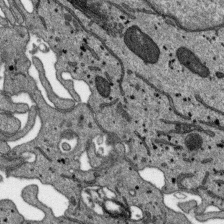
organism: Human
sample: Lung epithelial cells, uninfected (mock) control